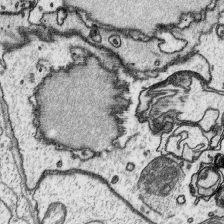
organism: Platynereis dumerilii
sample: Parapodia